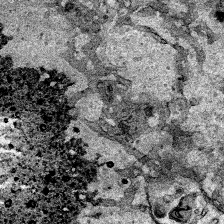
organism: Human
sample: Mitochondria in HCT116 cells